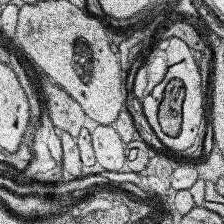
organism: Human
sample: Temporal Lobe